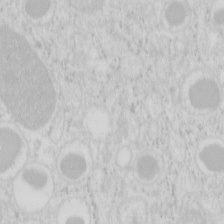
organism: Mouse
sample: Pancreas